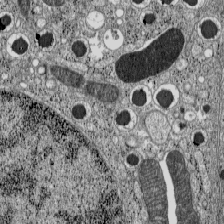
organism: C57BL Mouse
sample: Pancreatic islet